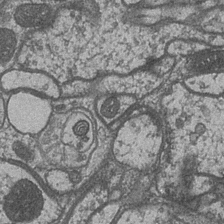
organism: Drosophila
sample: Optic medulla